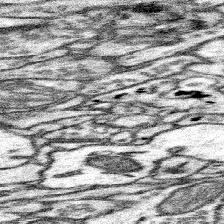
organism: Mouse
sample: Somatosensory cortex neuropil